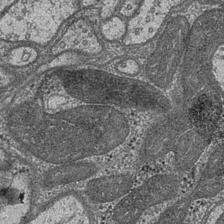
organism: Drosophila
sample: Optic medulla